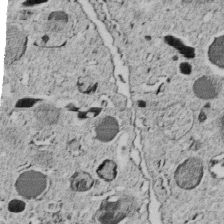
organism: C. elegans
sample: C. elegans embryo early stage